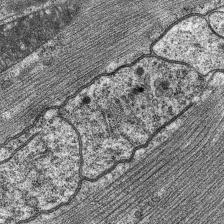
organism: C. elegans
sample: Pharynx